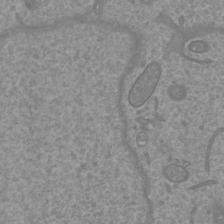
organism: Mouse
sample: Cortical neurons